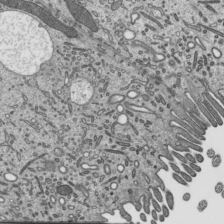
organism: Mouse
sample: Mouse epididymis efferent ductule cilia